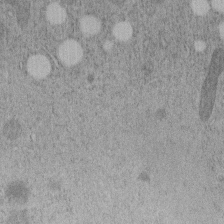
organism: C. elegans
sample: C. elegans embryo early stage